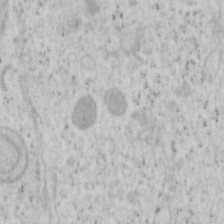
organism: Human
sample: HeLa cells